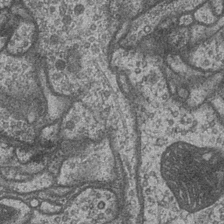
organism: Drosophila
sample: Optic medulla